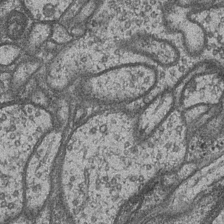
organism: Drosophila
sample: Optic medulla